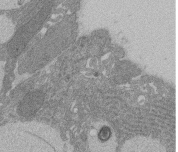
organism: Rat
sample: Salivary granule